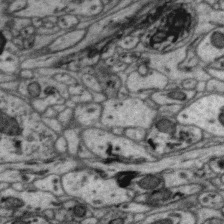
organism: Zebra finch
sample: Brain